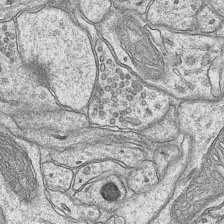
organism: Mouse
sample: CA1 Hippocampus